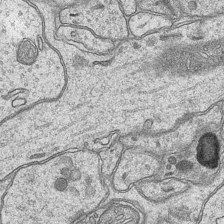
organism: Mouse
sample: CA1 Hippocampus